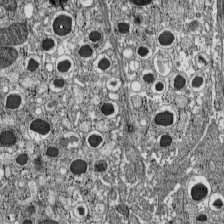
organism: C57BL Mouse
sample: Pancreatic islet